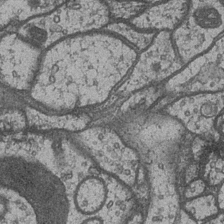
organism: Drosophila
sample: Optic medulla